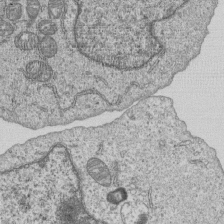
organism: Human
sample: MDA-MB-231 cells